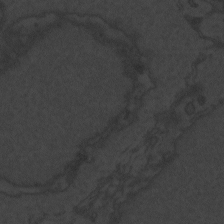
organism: Zebrafish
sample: Macrophage infected with Toxoplasma gondii